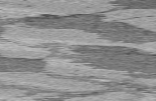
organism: C57BL Mouse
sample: Heart